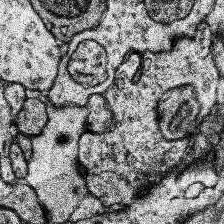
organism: Human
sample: Temporal Lobe